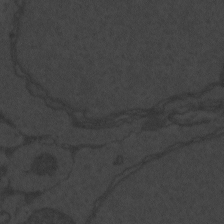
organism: Zebrafish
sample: Macrophage infected with Toxoplasma gondii